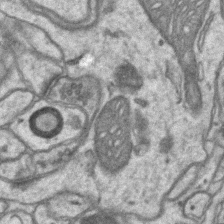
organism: Mouse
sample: CA1 Hippocampus